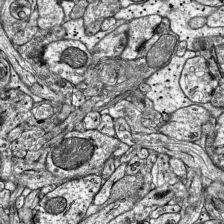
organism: Mouse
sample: Visual Cortex